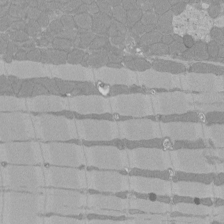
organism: Rat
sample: Left ventricle